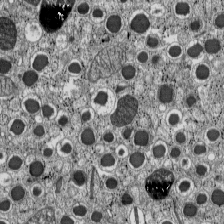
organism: C57BL Mouse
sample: Pancreatic islet